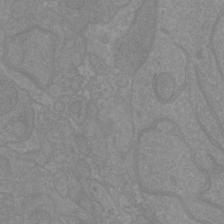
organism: Mouse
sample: Cortical neurons